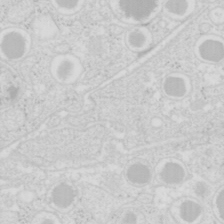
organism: Mouse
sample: Pancreas